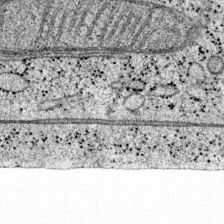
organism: Human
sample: HeLa cells